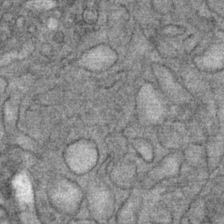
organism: Mouse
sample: Mouse Salivary gland